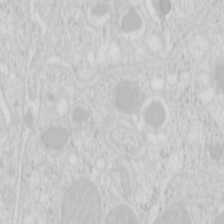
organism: Mouse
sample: Pancreas